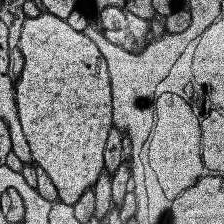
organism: Human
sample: Temporal Lobe